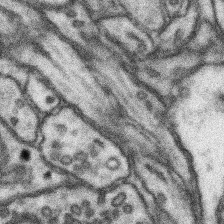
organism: Mouse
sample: Somatosensory cortex neuropil